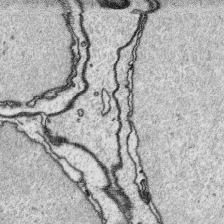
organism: Platynereis dumerilii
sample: Parapodia